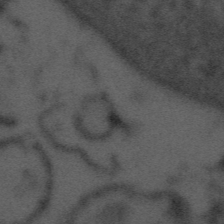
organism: Tuwongella immobilis